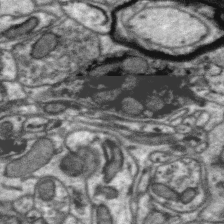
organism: Zebra finch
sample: Brain